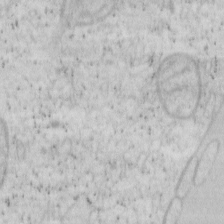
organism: Human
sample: HeLa cells